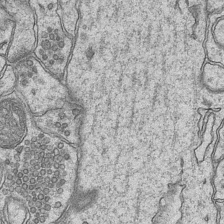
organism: Mouse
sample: CA1 Hippocampus